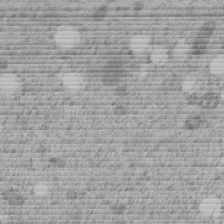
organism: C. elegans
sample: C. elegans embryo early stage